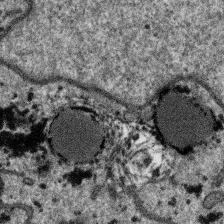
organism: Human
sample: Lung epithelial cells infected with SARS-CoV-2